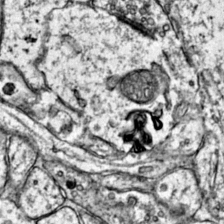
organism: Mouse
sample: Primary visual cortex